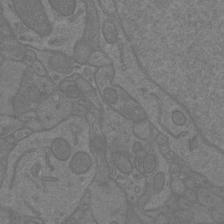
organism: Mouse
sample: Cortical neurons